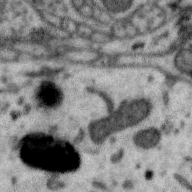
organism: Zebra finch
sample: Brain